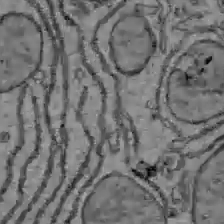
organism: C57BL Mouse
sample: Liver